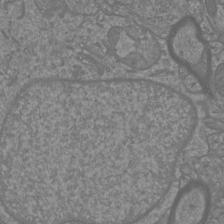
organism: Mouse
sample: Cortical neurons